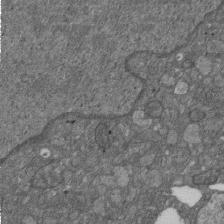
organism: Drosophila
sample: Nephrocyte